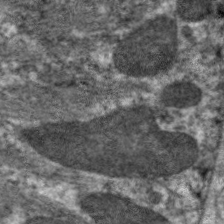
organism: C. elegans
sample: Pharynx